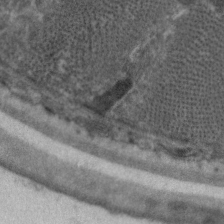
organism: C. elegans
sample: Pharynx